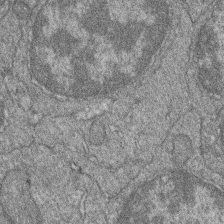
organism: Zebrafish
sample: Cilia; retinal pigment epithelium